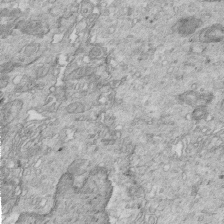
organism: Mouse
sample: Multiciliated cells